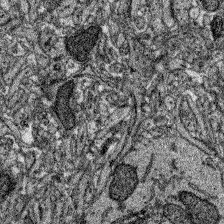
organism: Zebrafish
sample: Larval olfactory bulb